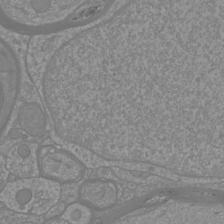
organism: Mouse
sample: Cortical neurons